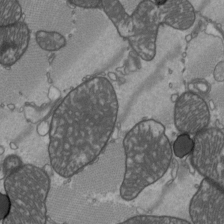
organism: C57BL Mouse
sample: Heart